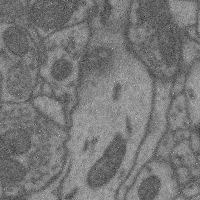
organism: Mouse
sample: Cerebral cortex